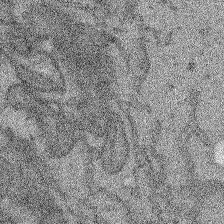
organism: Human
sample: HeLa cells